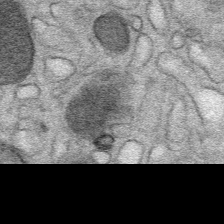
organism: Mouse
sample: Mouse Salivary gland